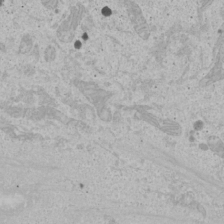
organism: Human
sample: Mitochondria in U2OS cells